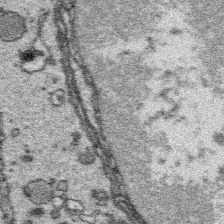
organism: Platynereis dumerilii